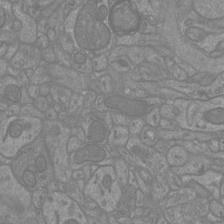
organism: Mouse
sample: Cortical neurons